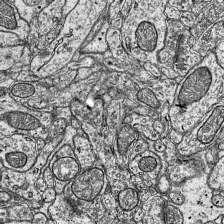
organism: Mouse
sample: Visual Cortex